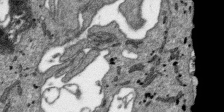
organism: Human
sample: Lung epithelial cells, uninfected (mock) control